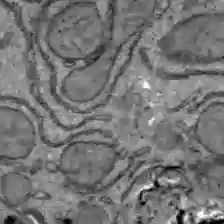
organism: C57BL Mouse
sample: Liver